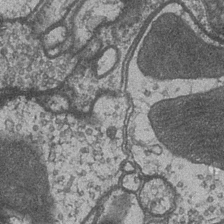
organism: Drosophila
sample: Optic medulla